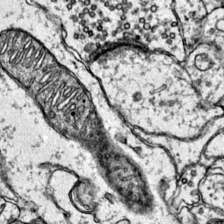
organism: Mouse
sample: Primary visual cortex